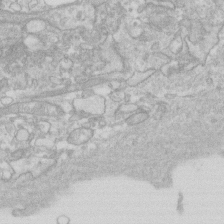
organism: Human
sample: Fibroblast cells